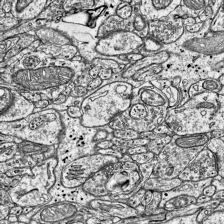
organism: Mouse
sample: Visual Cortex